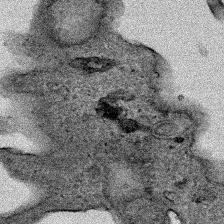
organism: Human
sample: Mitochondria in HCT116 cells